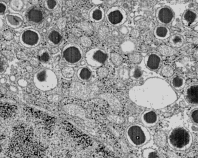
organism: C57BL Mouse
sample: Pancreatic islet